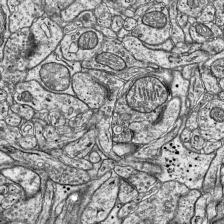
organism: Mouse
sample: Visual Cortex